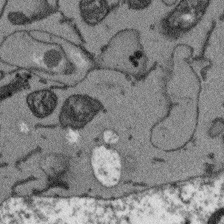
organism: Arabidopsis thaliana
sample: Root tip